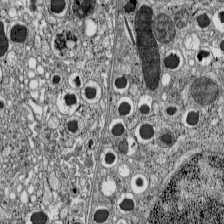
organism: C57BL Mouse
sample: Pancreatic islet